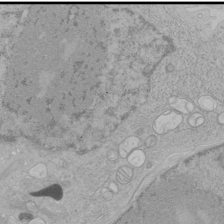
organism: Human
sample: Mitochondria in HCT116 cells